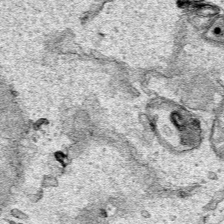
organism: Human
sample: Mitochondria in HCT116 cells